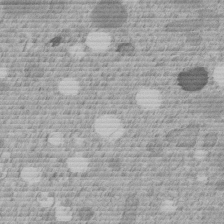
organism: C. elegans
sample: C. elegans embryo early stage